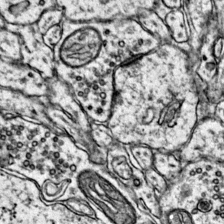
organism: Mouse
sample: Primary visual cortex